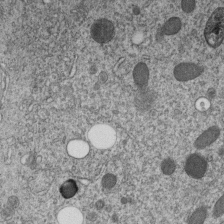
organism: C. elegans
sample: C. elegans embryo early stage